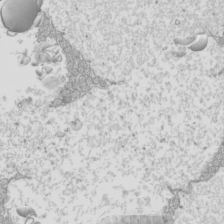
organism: Mouse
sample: Cilia; mouse epididymis